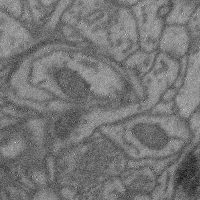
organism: Mouse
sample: Cerebral cortex